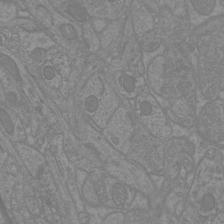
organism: Mouse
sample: Cortical neurons